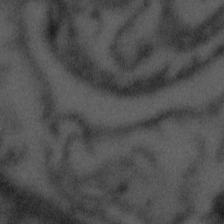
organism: Tuwongella immobilis